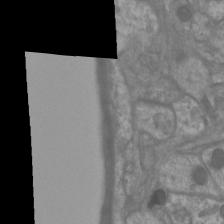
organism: Mouse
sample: Cortical neurons